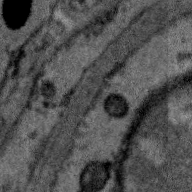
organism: Zebra finch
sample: Brain